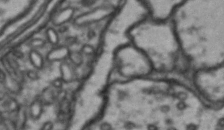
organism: Drosophila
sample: Brain